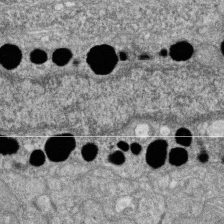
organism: Zebrafish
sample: Cilia; retinal pigment epithelium